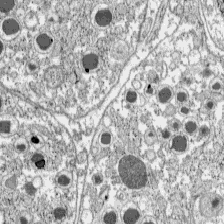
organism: C57BL Mouse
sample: Pancreatic islet